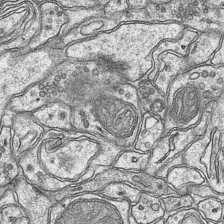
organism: Mouse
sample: CA1 Hippocampus